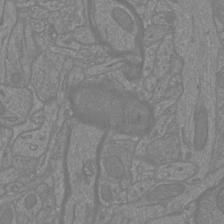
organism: Mouse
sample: Cortical neurons